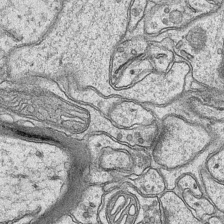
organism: Mouse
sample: CA1 Hippocampus